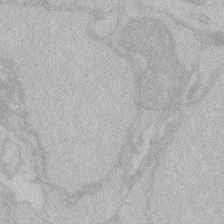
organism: Zebrafish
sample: Macrophage infected with Toxoplasma gondii